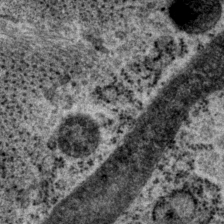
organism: P. pacificus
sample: Pharynx